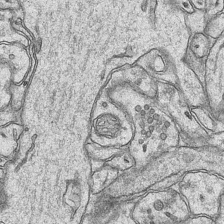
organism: Mouse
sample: CA1 Hippocampus